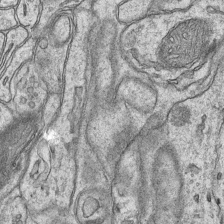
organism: Mouse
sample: CA1 Hippocampus